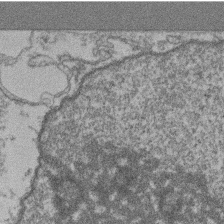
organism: Mouse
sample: T cell stromal cell synapse